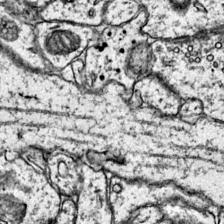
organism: Mouse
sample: Primary visual cortex